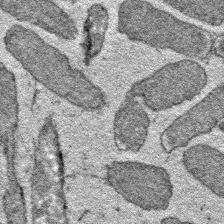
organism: E. coli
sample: E. Coli Bacteria